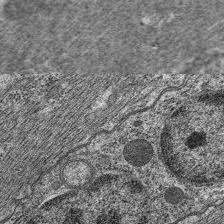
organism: C. elegans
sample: Pharynx